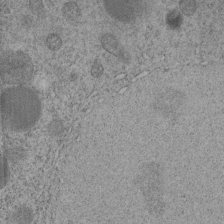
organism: C. elegans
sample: C. elegans embryo early stage